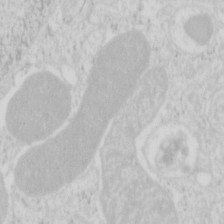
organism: Mouse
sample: Pancreas